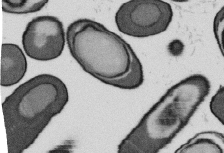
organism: B. subtilis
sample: Bacterial spore